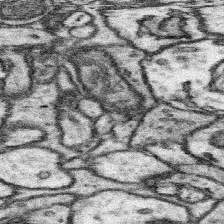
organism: Mouse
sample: Somatosensory cortex neuropil